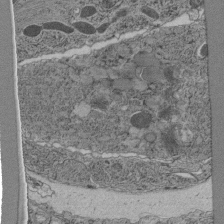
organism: C. elegans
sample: C. elegans pharynx